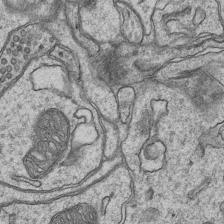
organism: Mouse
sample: CA1 Hippocampus